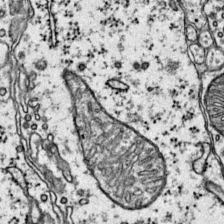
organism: Mouse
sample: Primary visual cortex